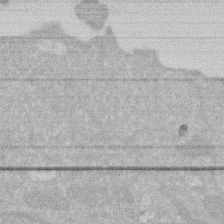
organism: Human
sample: HIV infected U937 cells